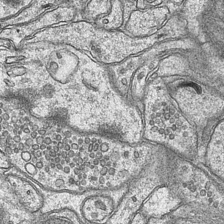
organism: Mouse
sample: CA1 Hippocampus